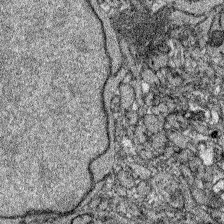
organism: Zebrafish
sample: Larval olfactory bulb